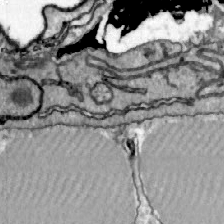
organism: Zebrafish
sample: Actinotrichia fibers